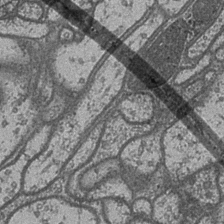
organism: Drosophila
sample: Optic medulla